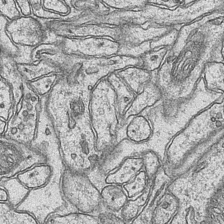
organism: Mouse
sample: CA1 Hippocampus